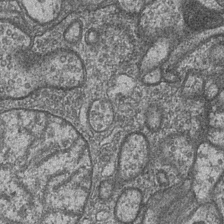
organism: Drosophila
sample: Optic medulla